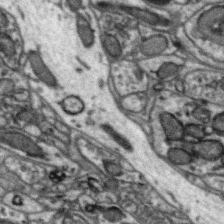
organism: Zebra finch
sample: Brain